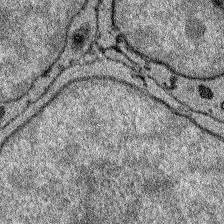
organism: Zebrafish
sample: Larval olfactory bulb